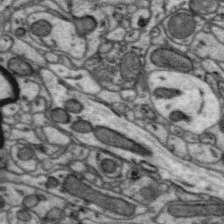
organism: Zebra finch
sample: Brain